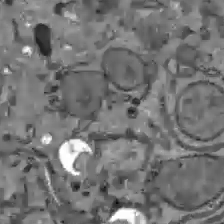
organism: C57BL Mouse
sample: Liver